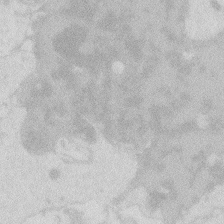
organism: Zebrafish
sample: Macrophage